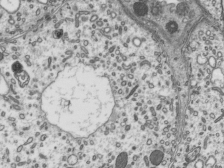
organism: Mouse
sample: Mouse epididymis efferent ductule cilia